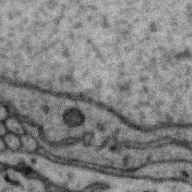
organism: Zebra finch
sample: Brain